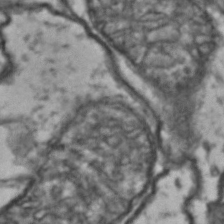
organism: Drosophila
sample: Brain